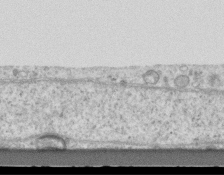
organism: Mouse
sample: Centriole in ependymal cells